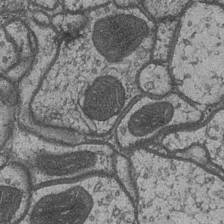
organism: Drosophila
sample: Optic medulla